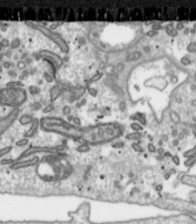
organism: Toxoplasma gondii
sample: Parasites in a vacuole inside a host cell